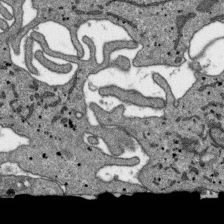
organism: Human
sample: Lung epithelial cells, uninfected (mock) control